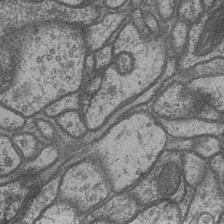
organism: Drosophila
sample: Optic medulla